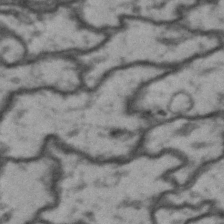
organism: Drosophila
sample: Brain